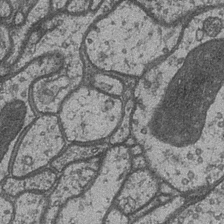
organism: Drosophila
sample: Optic medulla